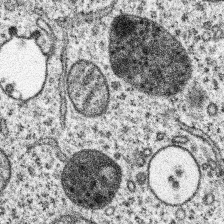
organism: Human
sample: HeLa cells